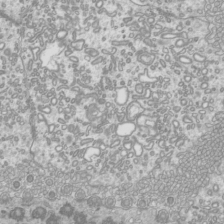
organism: Mouse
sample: Cilia; mouse epididymis